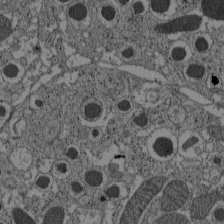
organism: C57BL Mouse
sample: Pancreatic islet